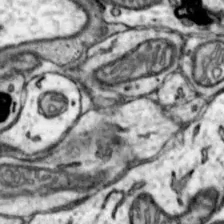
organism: Mouse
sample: Nucleus accumbens